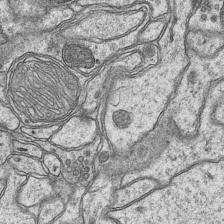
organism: Mouse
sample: CA1 Hippocampus